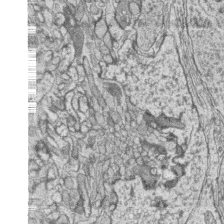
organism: Zebrafish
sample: synaptic ribbons in rod cells and cone cells